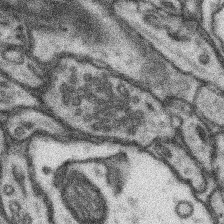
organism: Mouse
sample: Somatosensory cortex neuropil